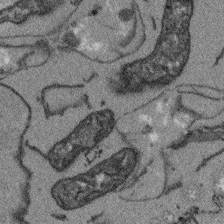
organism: Arabidopsis thaliana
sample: Root tip